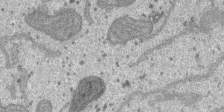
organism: Human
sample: Lung epithelial cells infected with SARS-CoV-2